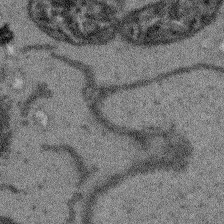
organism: Arabidopsis thaliana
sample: Root tip